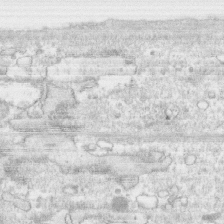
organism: Human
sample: CRL-1474